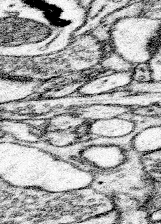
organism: Mouse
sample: Somatosensory cortex neuropil